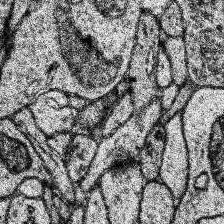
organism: Human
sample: Temporal Lobe